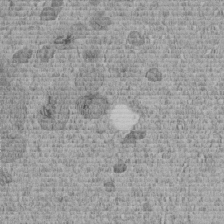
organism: C. elegans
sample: C. elegans embryo early stage